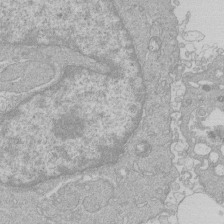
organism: Human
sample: Macrophage cells